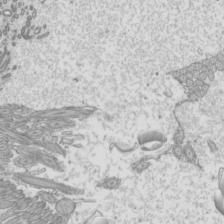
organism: Mouse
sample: Cilia; mouse epididymis